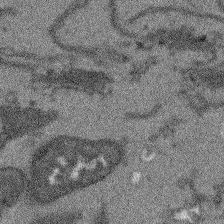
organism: Arabidopsis thaliana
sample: Root tip